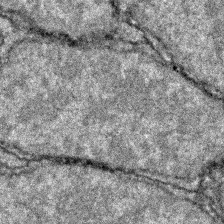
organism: Zebrafish